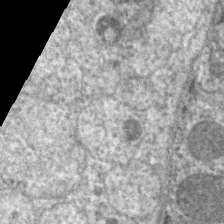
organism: C. elegans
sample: Pharynx